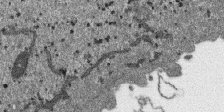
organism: Human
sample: Lung epithelial cells infected with SARS-CoV-2